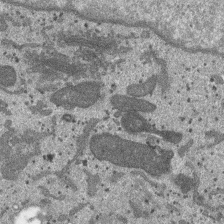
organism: Human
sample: Lung epithelial cells infected with SARS-CoV-2